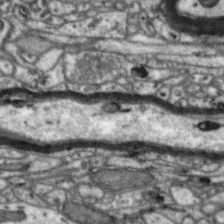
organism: Zebra finch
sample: Brain